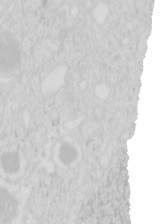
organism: Mouse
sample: Pancreas